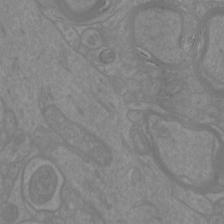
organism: Mouse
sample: Cortical neurons